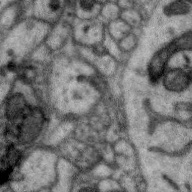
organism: Zebra finch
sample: Brain